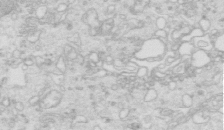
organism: Mouse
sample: Multiciliated cells